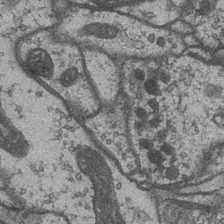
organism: Drosophila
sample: Optic medulla